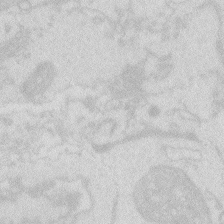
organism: Zebrafish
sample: Macrophage